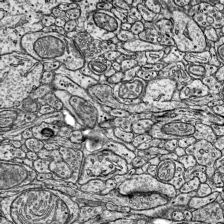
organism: Mouse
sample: Visual Cortex